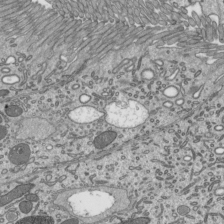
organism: Mouse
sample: Mouse epididymis efferent ductule cilia